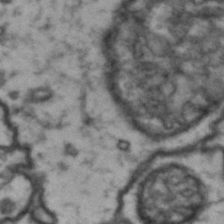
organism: Drosophila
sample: Brain